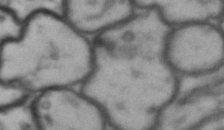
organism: Drosophila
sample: Brain